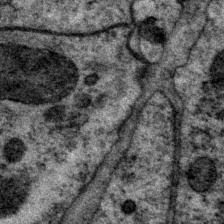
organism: P. pacificus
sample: Pharynx